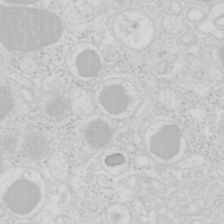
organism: Mouse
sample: Pancreas